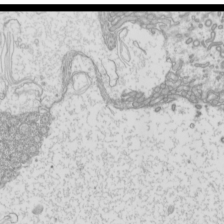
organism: Mouse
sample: Cilia; mouse epididymis